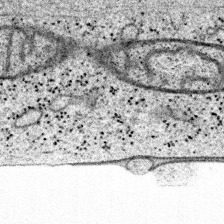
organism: Human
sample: HeLa cells